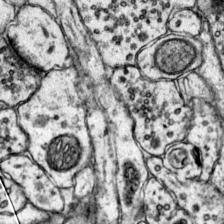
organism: Mouse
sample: Primary visual cortex